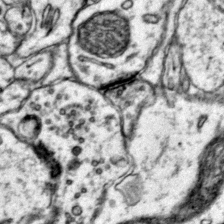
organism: Mouse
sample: Primary visual cortex